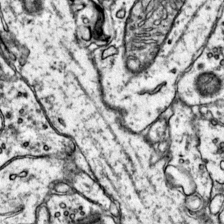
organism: Mouse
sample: Primary visual cortex